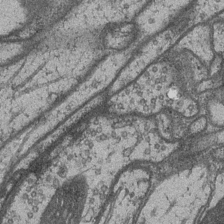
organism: Drosophila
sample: Optic medulla